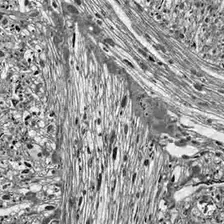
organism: Drosophila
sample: Optic lobe